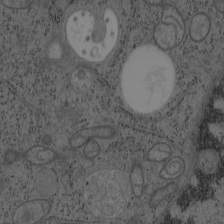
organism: Mouse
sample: OT-I killer T cells with ID8 ovarian cancer cells